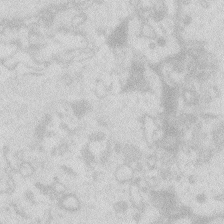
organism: Zebrafish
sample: Macrophage